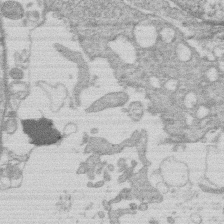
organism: Human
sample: Macrophage cells